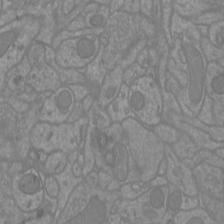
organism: Mouse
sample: Cortical neurons